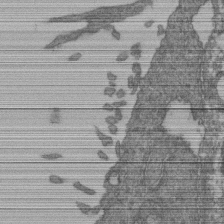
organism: Human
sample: Retinal organoid Rod and Cone cells